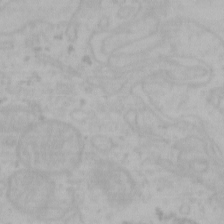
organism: Mouse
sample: Choroid plexus